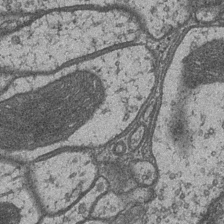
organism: Drosophila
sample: Optic medulla